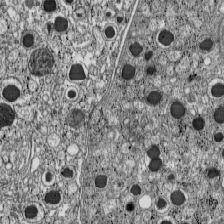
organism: C57BL Mouse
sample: Pancreatic islet